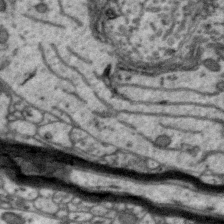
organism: Zebra finch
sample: Brain